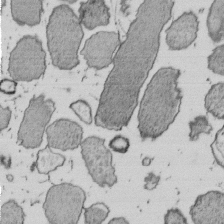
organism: E. coli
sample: Bacterial nucleoid